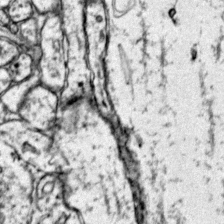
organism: Mouse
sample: Primary visual cortex